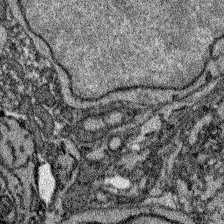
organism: Zebrafish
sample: Larval olfactory bulb